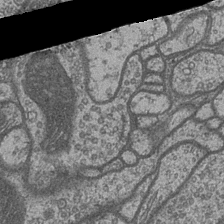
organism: Drosophila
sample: Optic medulla